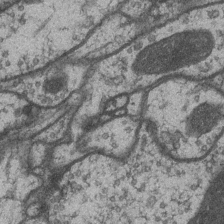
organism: Drosophila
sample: Optic medulla